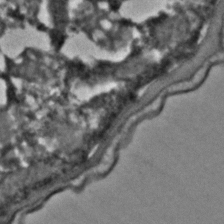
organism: C. elegans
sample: C. elegans embryo